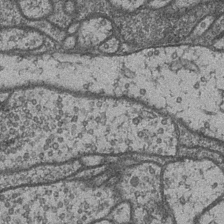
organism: Drosophila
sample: Optic medulla